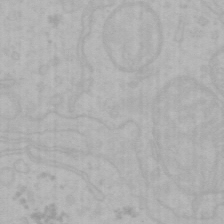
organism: Mouse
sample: Choroid plexus